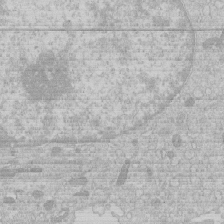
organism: Human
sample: Macrophage cells